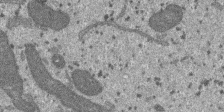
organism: Human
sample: Lung epithelial cells infected with SARS-CoV-2